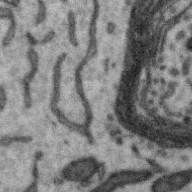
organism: Zebra finch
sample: Brain